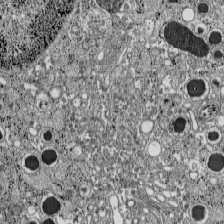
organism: C57BL Mouse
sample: Pancreatic islet